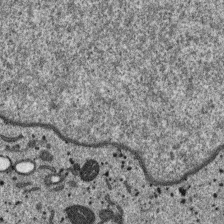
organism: Human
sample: Lung epithelial cells infected with SARS-CoV-2